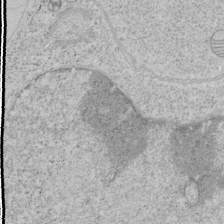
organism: Human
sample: Mitochondria in HCT116 cells